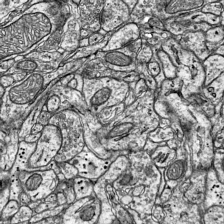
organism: Mouse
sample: Visual Cortex